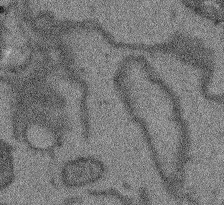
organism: Arabidopsis thaliana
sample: Root tip